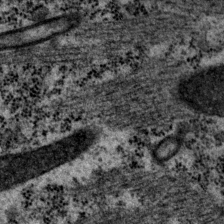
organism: P. pacificus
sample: Pharynx